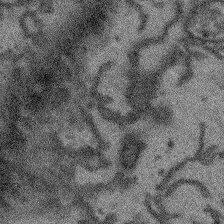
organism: Arabidopsis thaliana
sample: Root tip